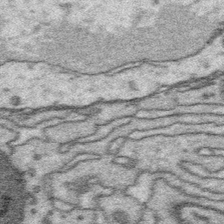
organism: Platynereis dumerilii